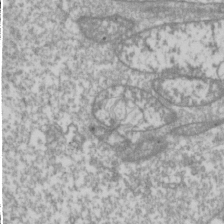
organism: Drosophila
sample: Cell division; meiosis; drosophila spermatocytes